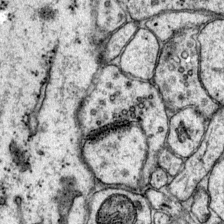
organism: Mouse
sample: Primary visual cortex